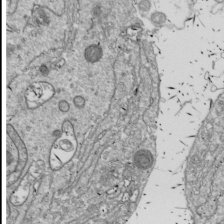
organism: Drosophila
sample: Cell division; meiosis; drosophila spermatocytes